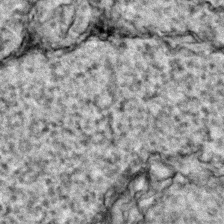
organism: Zebrafish